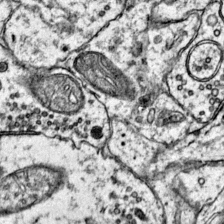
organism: Mouse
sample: Primary visual cortex